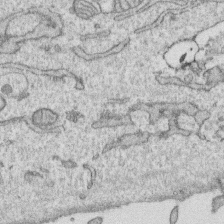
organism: Human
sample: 1205lu cells